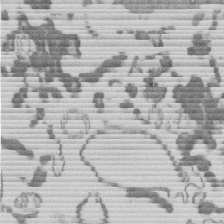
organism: Mouse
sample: Dividing mouse embryo 1 cell stage